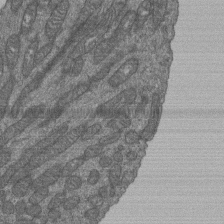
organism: Human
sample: Retinal organoid Rod and Cone cells